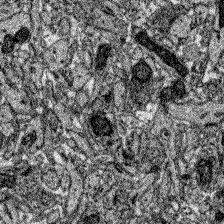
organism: Zebrafish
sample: Larval olfactory bulb